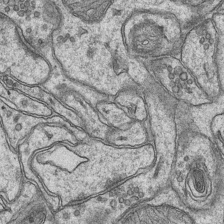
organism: Mouse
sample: CA1 Hippocampus